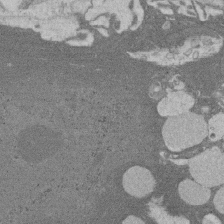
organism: Rat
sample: Salivary granule